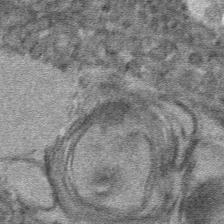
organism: Mouse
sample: Mouse hepatocytes